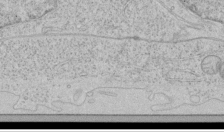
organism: Human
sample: Mitochondria in HCT116 cells